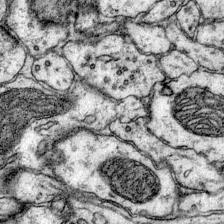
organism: Mouse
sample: Primary visual cortex